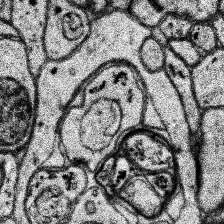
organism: Human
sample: Temporal Lobe